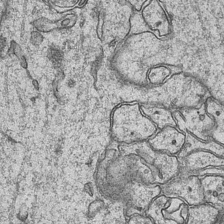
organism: Mouse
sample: CA1 Hippocampus